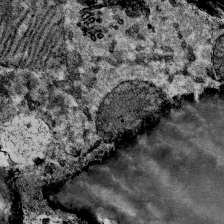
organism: Mouse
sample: Mouse Salivary gland